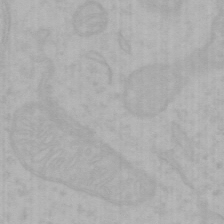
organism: Mouse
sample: Choroid plexus